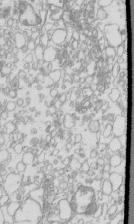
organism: Mouse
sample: Macrophages